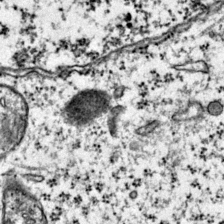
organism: Mouse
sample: Primary visual cortex